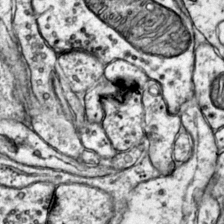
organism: Mouse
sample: Primary visual cortex